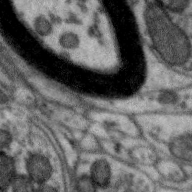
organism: Zebra finch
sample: Brain